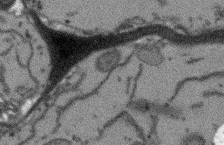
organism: Arabidopsis thaliana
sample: Root tip